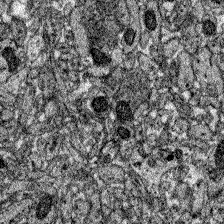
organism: Zebrafish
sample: Larval olfactory bulb